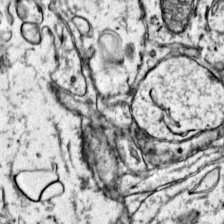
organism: Mouse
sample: Primary visual cortex